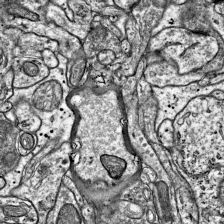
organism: Mouse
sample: Visual Cortex